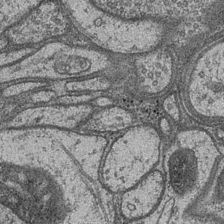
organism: Drosophila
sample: Optic medulla